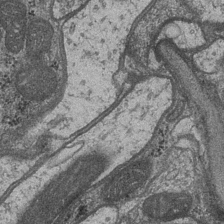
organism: Drosophila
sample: Optic medulla